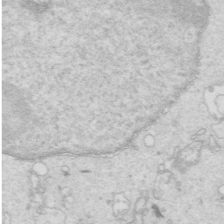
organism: Mouse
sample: Multiciliated cells